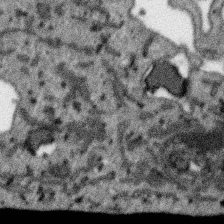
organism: Human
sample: Lung epithelial cells infected with SARS-CoV-2